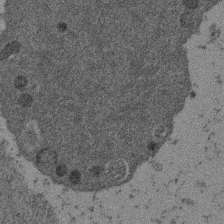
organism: Mouse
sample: Dividing mouse embryo 1 cell stage